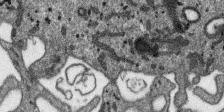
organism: Human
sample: Lung epithelial cells infected with SARS-CoV-2